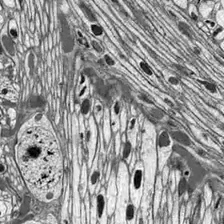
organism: Drosophila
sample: Optic lobe